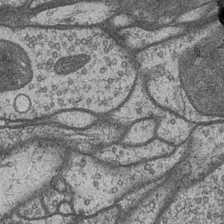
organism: Drosophila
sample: Optic medulla